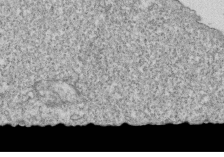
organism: Human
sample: HeLa cell HIV synapse